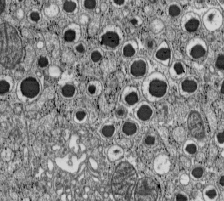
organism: C57BL Mouse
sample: Pancreatic islet